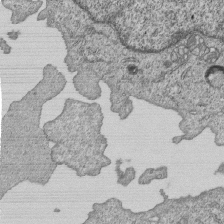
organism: Human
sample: MDA-MB-231 cells